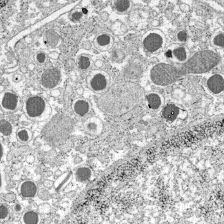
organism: C57BL Mouse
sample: Pancreatic islet